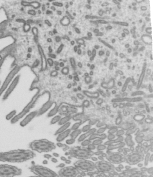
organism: Mouse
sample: Mouse epididymis efferent ductule cilia